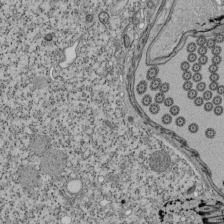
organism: Tetrahymena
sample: Cilia in tetrahymena